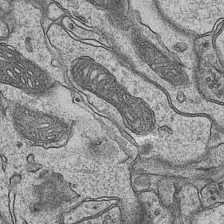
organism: Mouse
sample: CA1 Hippocampus